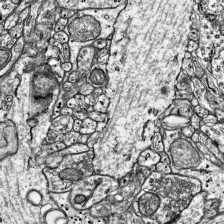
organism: Mouse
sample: Visual Cortex